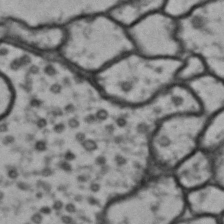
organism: Drosophila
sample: Brain